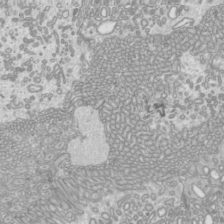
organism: Mouse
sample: Cilia; mouse epididymis